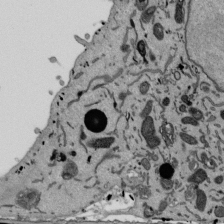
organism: Mouse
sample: ED-1 cell nuclei; centrioles